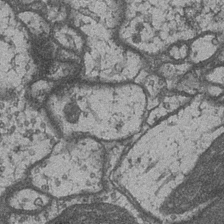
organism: Drosophila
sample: Optic medulla